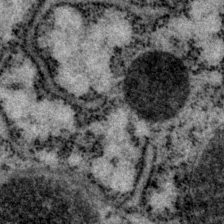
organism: P. pacificus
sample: Pharynx